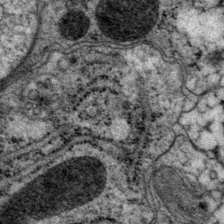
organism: P. pacificus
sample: Pharynx